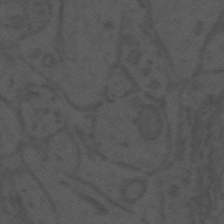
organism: Mouse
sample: Suprachiasmatic nucleus